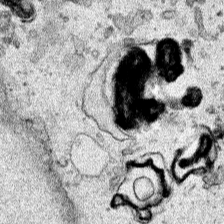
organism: Human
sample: Mitochondria in HCT116 cells